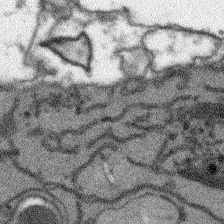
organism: Arabidopsis thaliana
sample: Root tip